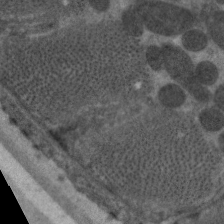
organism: C. elegans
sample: Pharynx